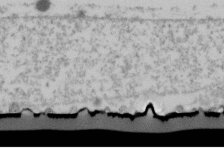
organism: Human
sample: U2-OS cells